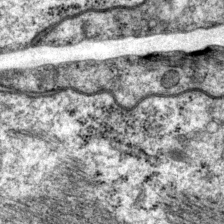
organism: P. pacificus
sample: Pharynx